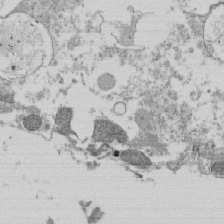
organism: Tetrahymena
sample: Cilia in tetrahymena